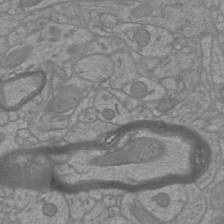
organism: Mouse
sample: Cortical neurons